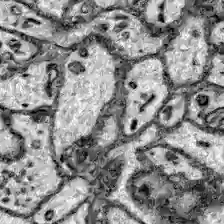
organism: Zebrafish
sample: Brain